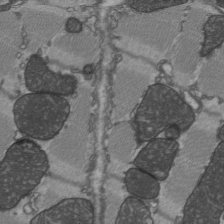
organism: C57BL Mouse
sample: Heart